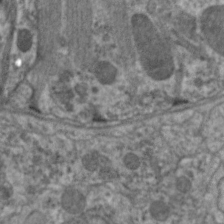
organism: C. elegans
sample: Pharynx